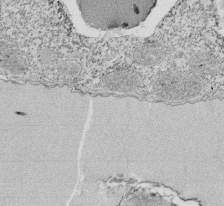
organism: Tetrahymena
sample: Cilia in tetrahymena